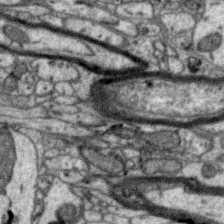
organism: Zebra finch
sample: Brain